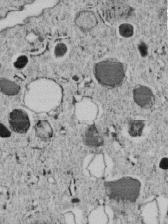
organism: C. elegans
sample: C. elegans embryo early stage